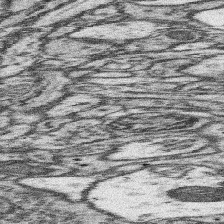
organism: Mouse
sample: Somatosensory cortex neuropil